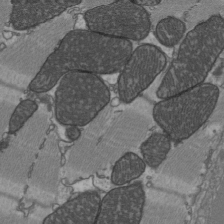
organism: C57BL Mouse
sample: Heart